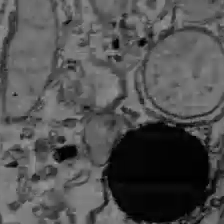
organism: C57BL Mouse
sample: Liver